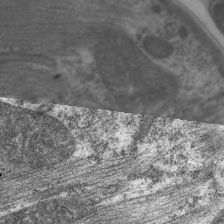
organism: C. elegans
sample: Pharynx